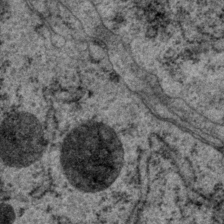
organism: P. pacificus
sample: Pharynx